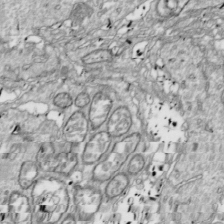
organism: Drosophila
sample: Cell division; meiosis; drosophila spermatocytes